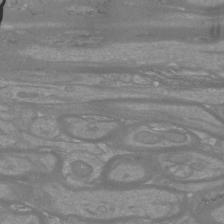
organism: Mouse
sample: Cortical neurons